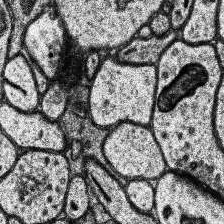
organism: Human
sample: Temporal Lobe